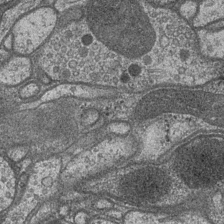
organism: Drosophila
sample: Optic medulla